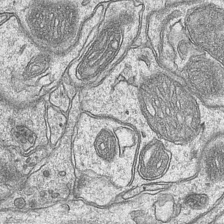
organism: Mouse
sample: CA1 Hippocampus